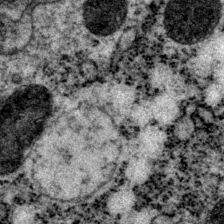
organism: P. pacificus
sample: Pharynx